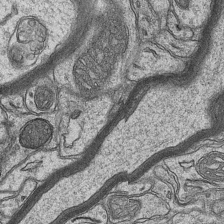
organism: Mouse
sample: CA1 Hippocampus